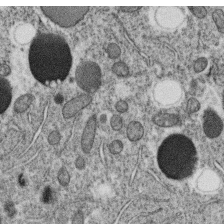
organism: C. elegans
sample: C. elegans oocyte; sperm cells